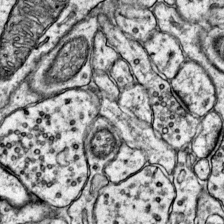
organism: Mouse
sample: Primary visual cortex